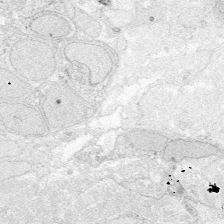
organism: Zebrafish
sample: Whole-Brain